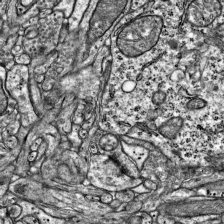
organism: Mouse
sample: Visual Cortex